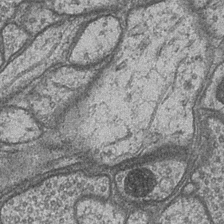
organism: Drosophila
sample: Optic medulla